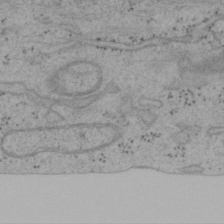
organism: Human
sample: HeLa cells